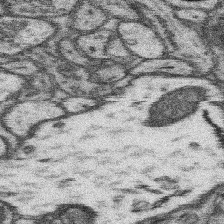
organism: Mouse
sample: Somatosensory cortex neuropil